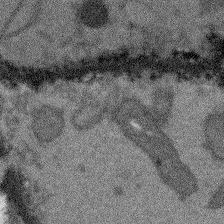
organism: Arabidopsis thaliana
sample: Root tip